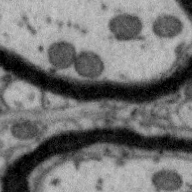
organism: Zebra finch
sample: Brain